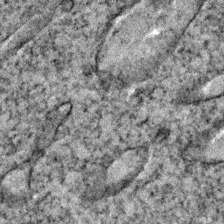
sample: Trachea